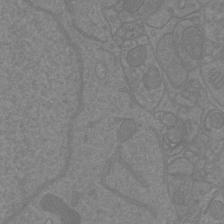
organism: Mouse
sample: Cortical neurons